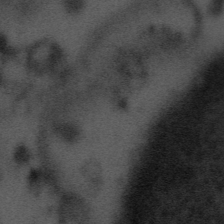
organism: Tuwongella immobilis